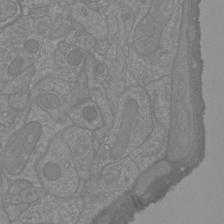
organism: Mouse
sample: Cortical neurons